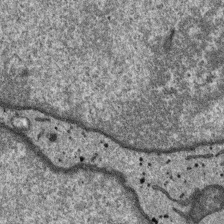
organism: Human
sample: Lung epithelial cells, uninfected (mock) control